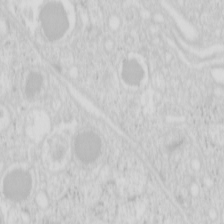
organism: Mouse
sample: Pancreas